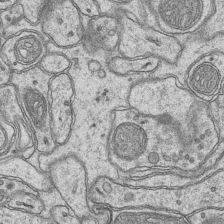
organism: Mouse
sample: CA1 Hippocampus